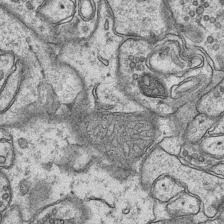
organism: Mouse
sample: CA1 Hippocampus